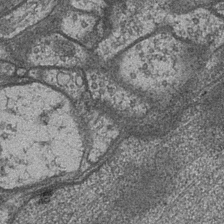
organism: Drosophila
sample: Optic medulla